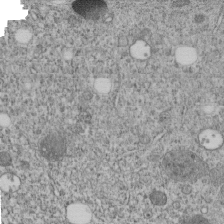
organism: C. elegans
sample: C. elegans embryo early stage